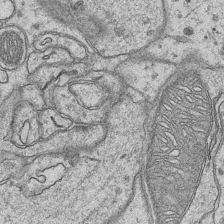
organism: Mouse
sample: CA1 Hippocampus